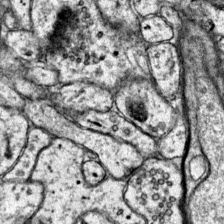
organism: Mouse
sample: Primary visual cortex